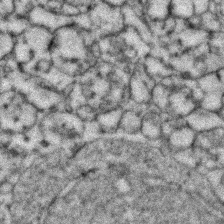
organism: Zebrafish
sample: Zebrafish embryo